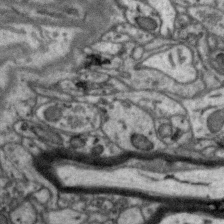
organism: Zebra finch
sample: Brain